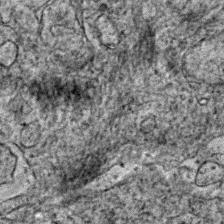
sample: Trachea